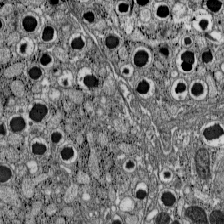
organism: C57BL Mouse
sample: Pancreatic islet